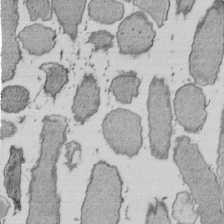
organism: E. coli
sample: Bacterial nucleoid